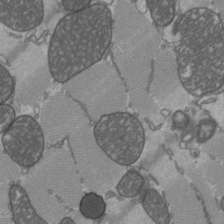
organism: C57BL Mouse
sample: Heart